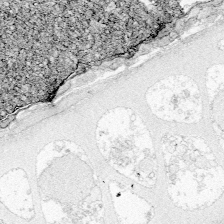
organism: Zebrafish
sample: Whole-Brain